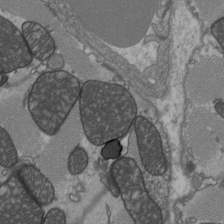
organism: C57BL Mouse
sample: Heart